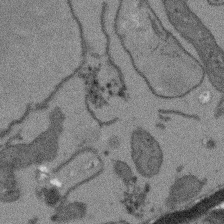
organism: Arabidopsis thaliana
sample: Root tip